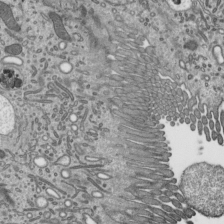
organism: Mouse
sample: Mouse epididymis efferent ductule cilia